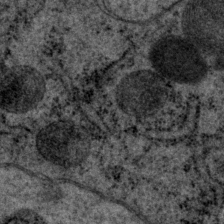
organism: P. pacificus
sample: Pharynx